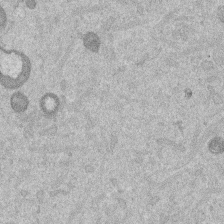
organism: Mouse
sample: Dividing mouse embryo 1 cell stage